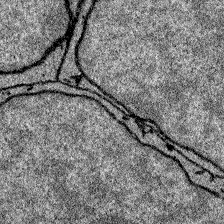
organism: Zebrafish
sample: Larval olfactory bulb